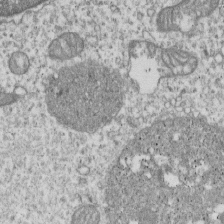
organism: Human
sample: MDA-MB-231 cells